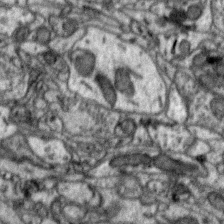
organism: Zebra finch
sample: Brain